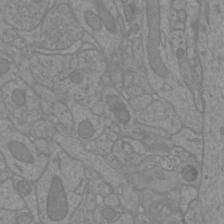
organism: Mouse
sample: Cortical neurons